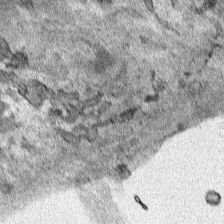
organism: Human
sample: Mitochondria in HCT116 cells